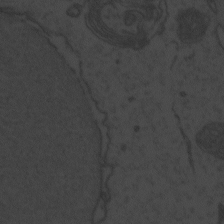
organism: Zebrafish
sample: Macrophage infected with Toxoplasma gondii